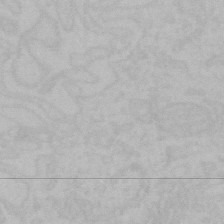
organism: Mouse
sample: Choroid plexus